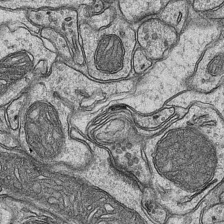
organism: Mouse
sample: CA1 Hippocampus